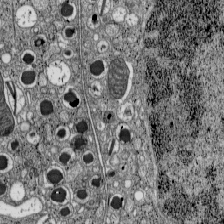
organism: C57BL Mouse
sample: Pancreatic islet